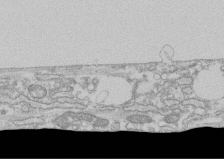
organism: Human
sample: CRL-1474